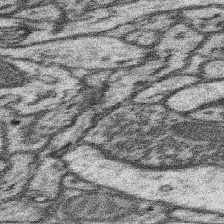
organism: Mouse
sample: Somatosensory cortex neuropil